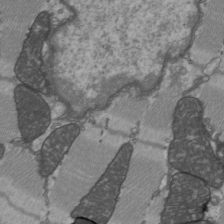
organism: C57BL Mouse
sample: Heart